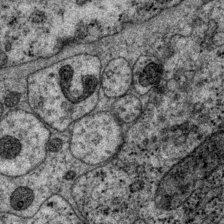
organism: P. pacificus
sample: Pharynx